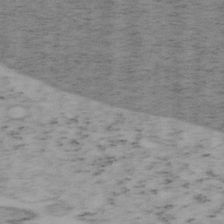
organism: Mouse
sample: OT-I killer T cells with ID8 ovarian cancer cells